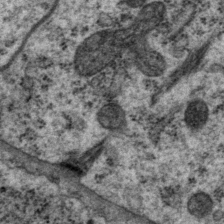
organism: P. pacificus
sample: Pharynx